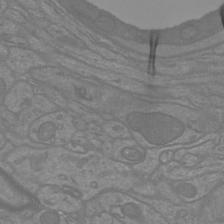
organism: Mouse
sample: Cortical neurons